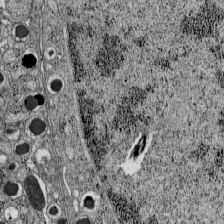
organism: C57BL Mouse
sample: Pancreatic islet